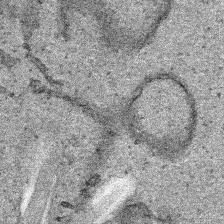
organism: Human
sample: Mitochondria in HCT116 cells